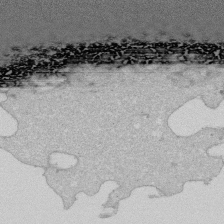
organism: Human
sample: Activated Jurkat CD4+ T cells